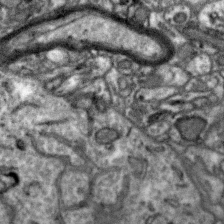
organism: Zebra finch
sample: Brain